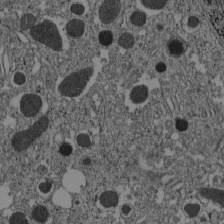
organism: C57BL Mouse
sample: Pancreatic islet